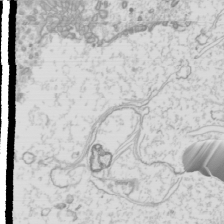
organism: Mouse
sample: Cilia; mouse epididymis